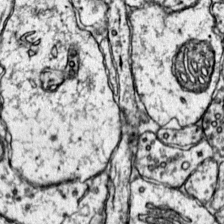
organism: Mouse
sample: Primary visual cortex